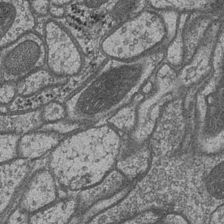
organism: Drosophila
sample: Optic medulla